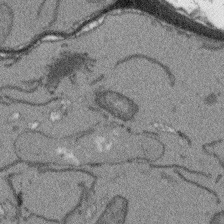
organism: Arabidopsis thaliana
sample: Root tip